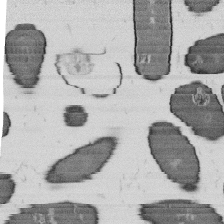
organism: B. subtilis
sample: Bacterial spore